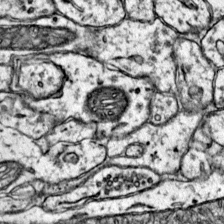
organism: Mouse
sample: Primary visual cortex